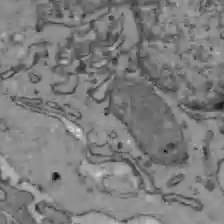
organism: C57BL Mouse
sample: Liver